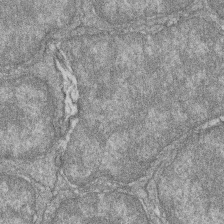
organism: Zebrafish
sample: Cilia; retinal pigment epithelium